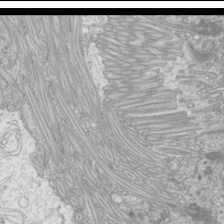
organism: Mouse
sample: Cilia; mouse epididymis